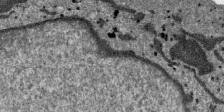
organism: Human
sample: Lung epithelial cells, uninfected (mock) control